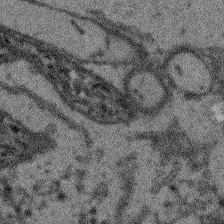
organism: Arabidopsis thaliana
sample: Root tip